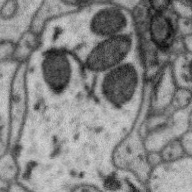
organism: Zebra finch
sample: Brain